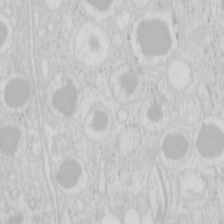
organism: Mouse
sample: Pancreas